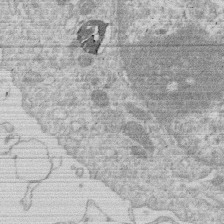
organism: Human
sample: Macrophage cells